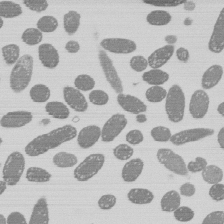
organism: E. coli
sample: Bacterial nucleoid